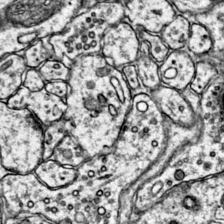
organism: Mouse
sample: Primary visual cortex